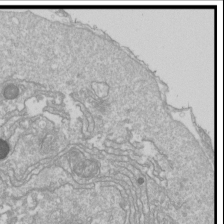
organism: Drosophila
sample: Cell division; meiosis; drosophila spermatocytes